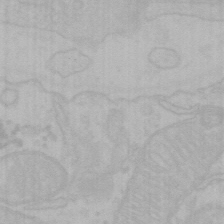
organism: Mouse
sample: Choroid plexus